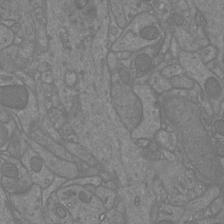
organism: Mouse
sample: Cortical neurons